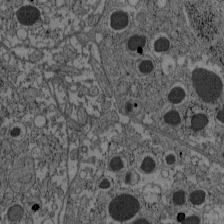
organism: C57BL Mouse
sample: Pancreatic islet